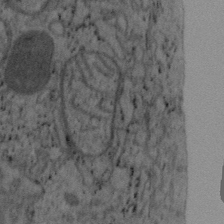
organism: Human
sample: HeLa cells